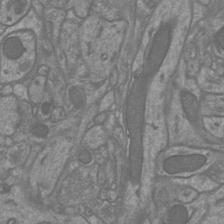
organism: Mouse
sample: Cortical neurons